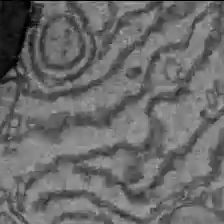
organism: C57BL Mouse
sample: Liver